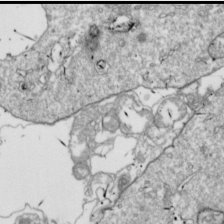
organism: Drosophila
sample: Cell division; meiosis; drosophila spermatocytes